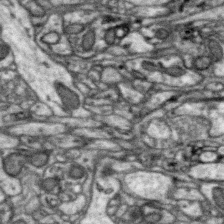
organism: Zebra finch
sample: Brain